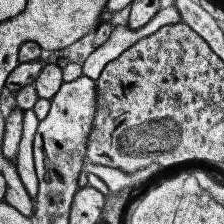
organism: Human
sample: Temporal Lobe